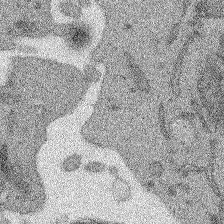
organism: Human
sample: HeLa cells